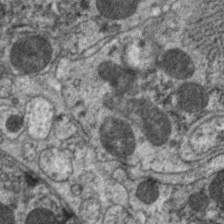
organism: C. elegans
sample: Pharynx